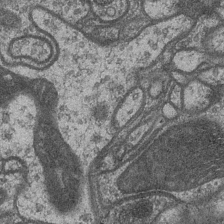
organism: Drosophila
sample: Optic medulla